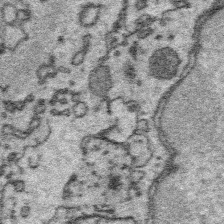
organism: Platynereis dumerilii